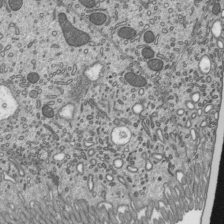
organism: Mouse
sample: Mouse epididymis efferent ductule cilia